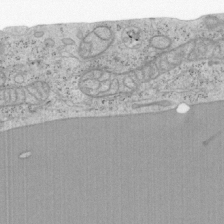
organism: Human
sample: HeLa cells